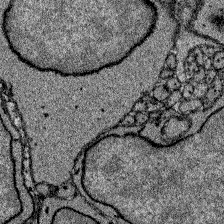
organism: Zebrafish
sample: Larval olfactory bulb